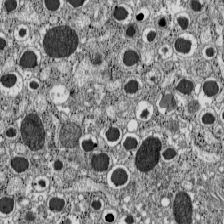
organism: C57BL Mouse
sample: Pancreatic islet